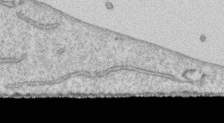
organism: Human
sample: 1205lu cells